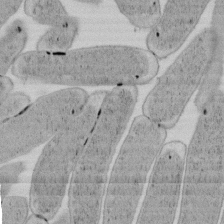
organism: E. coli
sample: Bacterial nucleoid